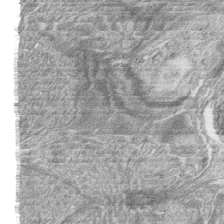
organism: Zebrafish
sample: synaptic ribbons in rod cells and cone cells